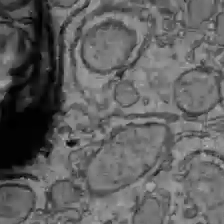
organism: C57BL Mouse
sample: Liver